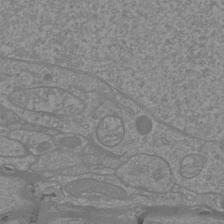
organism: Mouse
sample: Cortical neurons